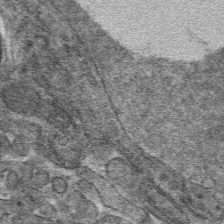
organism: Mouse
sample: Mouse hepatocytes